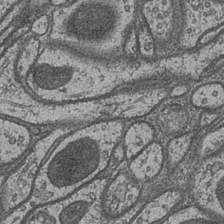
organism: Drosophila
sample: Optic medulla